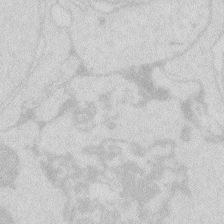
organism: Zebrafish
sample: Macrophage